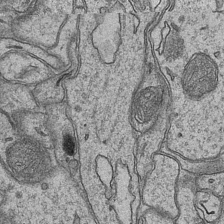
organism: Mouse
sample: CA1 Hippocampus